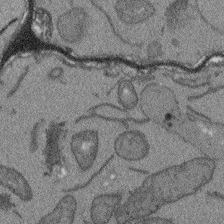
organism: Arabidopsis thaliana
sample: Root tip